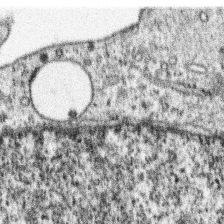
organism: Human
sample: HeLa cells